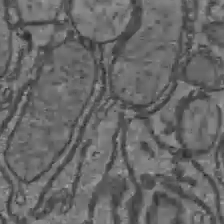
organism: C57BL Mouse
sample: Liver